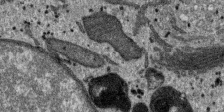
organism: Human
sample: Lung epithelial cells, uninfected (mock) control